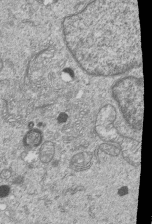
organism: Human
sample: MDA-MB-231 cells